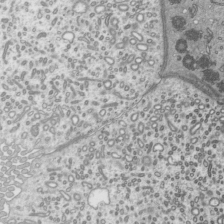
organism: Mouse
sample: Mouse epididymis efferent ductule cilia